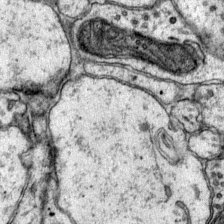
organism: Mouse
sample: Primary visual cortex